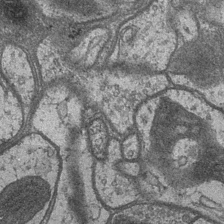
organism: Drosophila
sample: Optic medulla